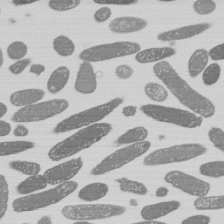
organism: E. coli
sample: Bacterial nucleoid